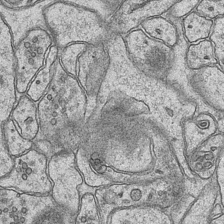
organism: Mouse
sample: CA1 Hippocampus